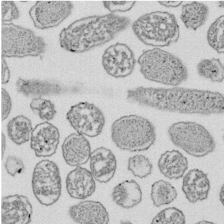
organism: E. coli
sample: Bacterial nucleoid